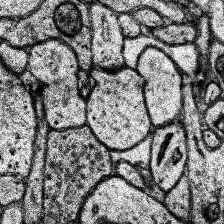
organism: Human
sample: Temporal Lobe